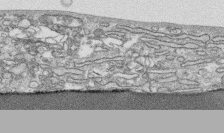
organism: Human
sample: CRL-1474